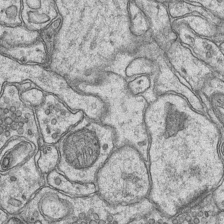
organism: Mouse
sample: CA1 Hippocampus